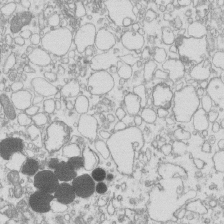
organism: Mouse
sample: Macrophages